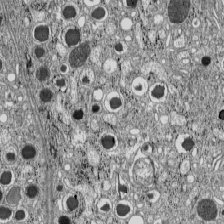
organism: C57BL Mouse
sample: Pancreatic islet